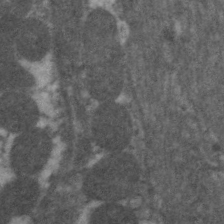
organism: C. elegans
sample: Pharynx